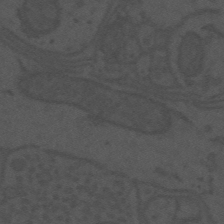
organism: Mouse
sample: Suprachiasmatic nucleus